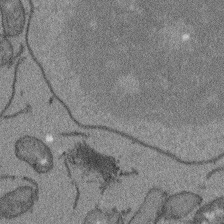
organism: Arabidopsis thaliana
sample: Root tip